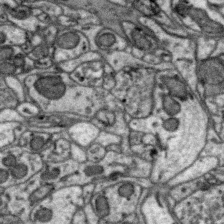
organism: Zebra finch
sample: Brain